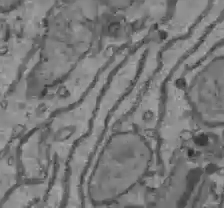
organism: C57BL Mouse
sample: Liver